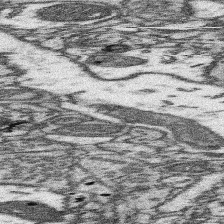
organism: Mouse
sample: Somatosensory cortex neuropil